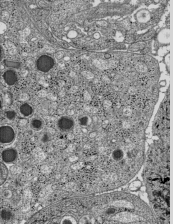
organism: C57BL Mouse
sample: Pancreatic islet